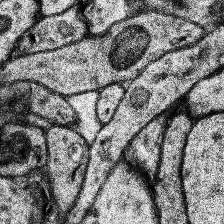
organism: Human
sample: Temporal Lobe